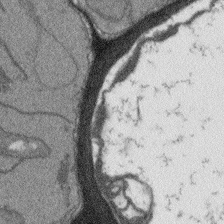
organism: Arabidopsis thaliana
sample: Root tip